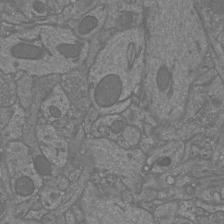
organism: Mouse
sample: Cortical neurons